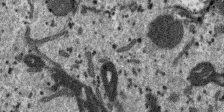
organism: Human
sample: Lung epithelial cells infected with SARS-CoV-2